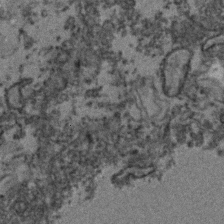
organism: Zebrafish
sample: Zebrafish embryo